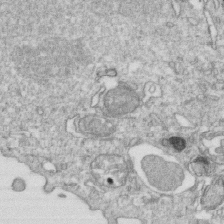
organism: Mouse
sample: Activated OT-1 CD8+ T cells